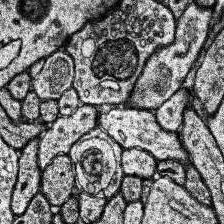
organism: Human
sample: Temporal Lobe